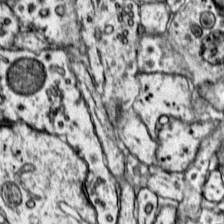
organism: Mouse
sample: Primary visual cortex